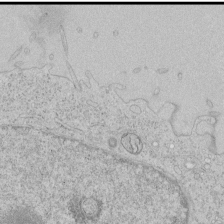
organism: Human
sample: Mitochondria in HCT116 cells